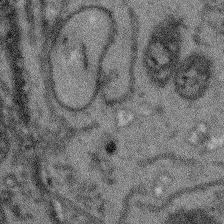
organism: Arabidopsis thaliana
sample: Root tip